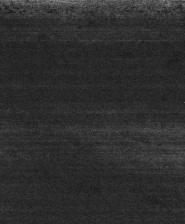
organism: Mouse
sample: Centriole in ependymal cells